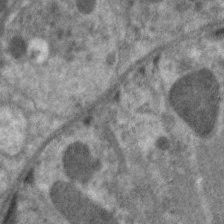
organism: C. elegans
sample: Pharynx